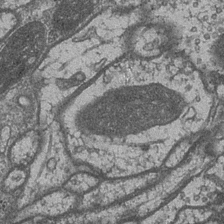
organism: Drosophila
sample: Optic medulla